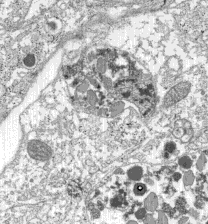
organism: C57BL Mouse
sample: Pancreatic islet